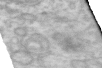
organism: Human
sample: Centriole in RPE cells